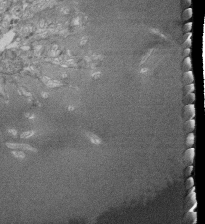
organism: Tetrahymena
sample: Cilia in tetrahymena